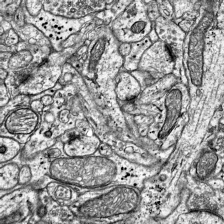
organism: Mouse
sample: Visual Cortex